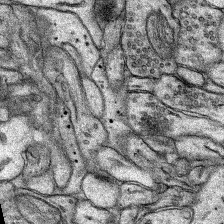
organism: Rat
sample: Hippocampus